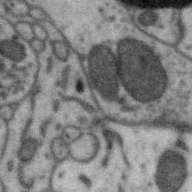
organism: Zebra finch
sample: Brain